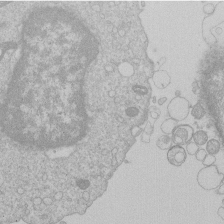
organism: Human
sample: Macrophage cells